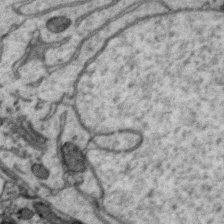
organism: Zebra finch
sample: Brain